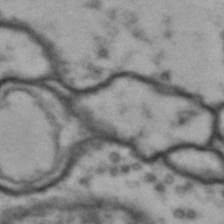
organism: Drosophila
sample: Brain